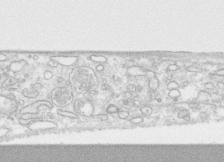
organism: Human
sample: CRL-1474